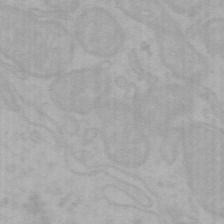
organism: Mouse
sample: Choroid plexus